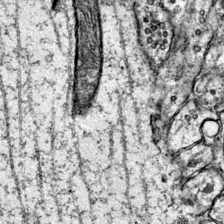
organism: Mouse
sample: Primary visual cortex